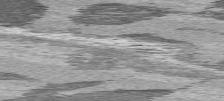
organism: C57BL Mouse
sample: Heart